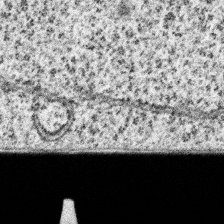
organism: Human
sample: HeLa cells